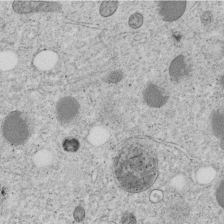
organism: C. elegans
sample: C. elegans embryo early stage